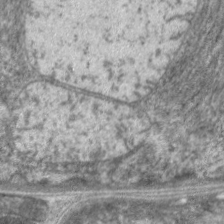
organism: C. elegans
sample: Pharynx